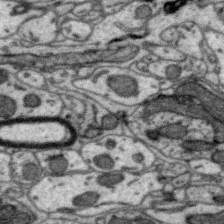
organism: Zebra finch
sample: Brain